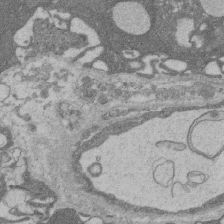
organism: Rat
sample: Salivary granule